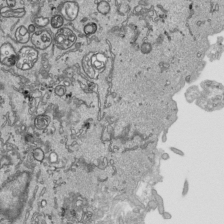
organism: Human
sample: Mitochondria in HCT116 cells